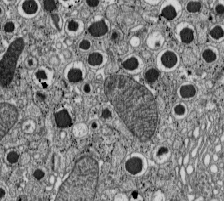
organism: C57BL Mouse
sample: Pancreatic islet